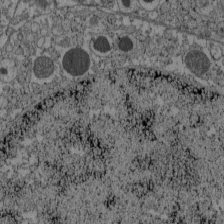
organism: C57BL Mouse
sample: Pancreatic islet